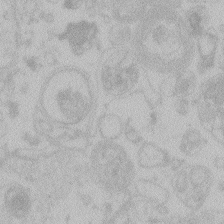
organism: Zebrafish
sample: Macrophage infected with Toxoplasma gondii